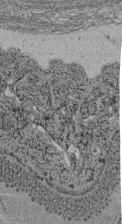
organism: C. elegans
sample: C. elegans pharynx